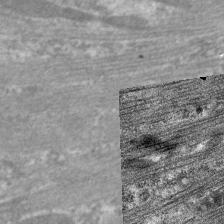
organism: C. elegans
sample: Pharynx